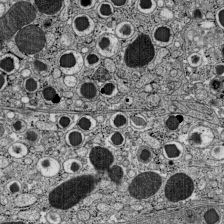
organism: C57BL Mouse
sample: Pancreatic islet